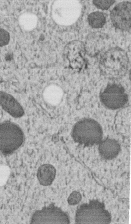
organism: C. elegans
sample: C. elegans embryo early stage